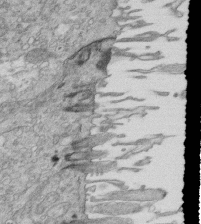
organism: Mouse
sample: Multiciliated cells